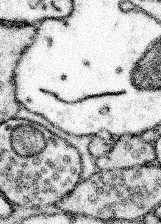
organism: Mouse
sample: Somatosensory cortex neuropil